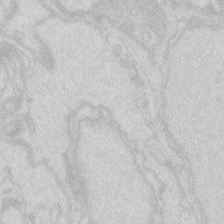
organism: Zebrafish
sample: Macrophage